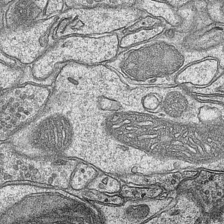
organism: Mouse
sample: CA1 Hippocampus